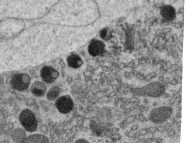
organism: C. elegans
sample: C. elegans oocyte; sperm cells